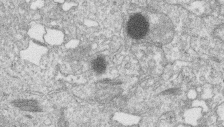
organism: Human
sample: HeLa cell HIV synapse